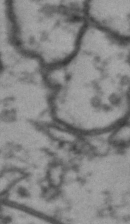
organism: Drosophila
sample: Brain